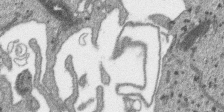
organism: Human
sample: Lung epithelial cells infected with SARS-CoV-2